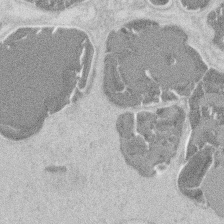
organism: Mouse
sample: T cell stromal cell synapse